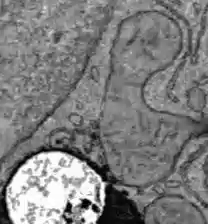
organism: C57BL Mouse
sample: Liver